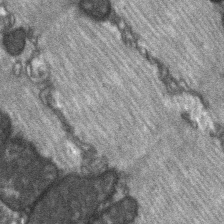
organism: C57BL Mouse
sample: Soleus